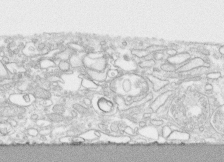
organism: Human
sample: CRL-1474